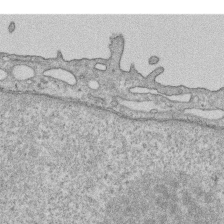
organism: Human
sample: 1205lu cells